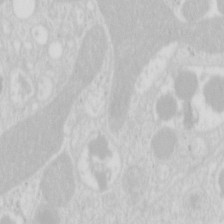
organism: Mouse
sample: Pancreas